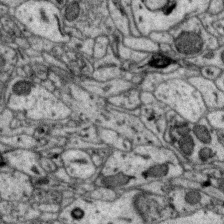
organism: Zebra finch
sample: Brain